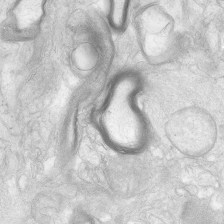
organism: Human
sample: Neocortex